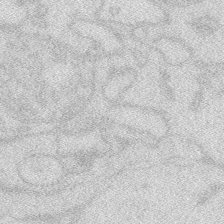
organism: Zebrafish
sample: Macrophage